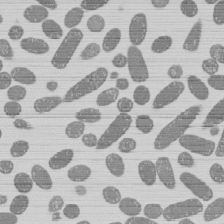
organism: E. coli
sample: Bacterial nucleoid